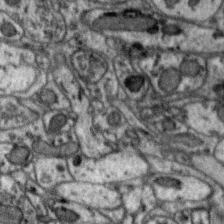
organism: Zebra finch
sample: Brain